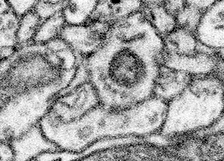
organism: Mouse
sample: Somatosensory cortex neuropil